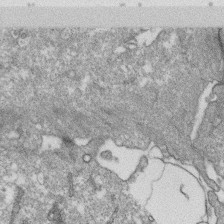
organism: African green monkey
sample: Vero E6 cells infected with SARS-CoV-2